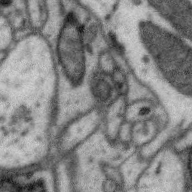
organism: Zebra finch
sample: Brain